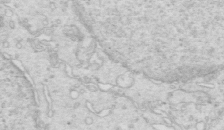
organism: Mouse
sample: Multiciliated cells